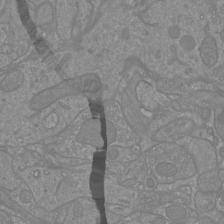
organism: Mouse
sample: Cortical neurons